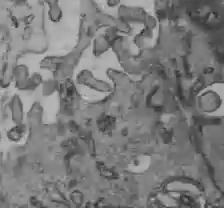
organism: C57BL Mouse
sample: Liver